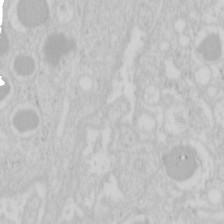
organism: Mouse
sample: Pancreas